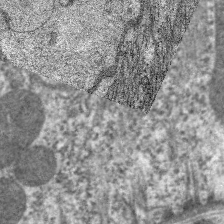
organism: C. elegans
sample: Pharynx